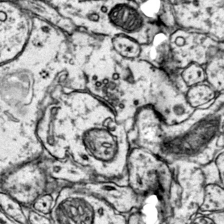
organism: Mouse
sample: Primary visual cortex